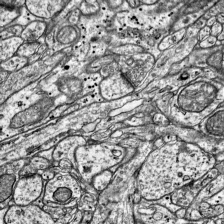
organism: Mouse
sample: Visual Cortex